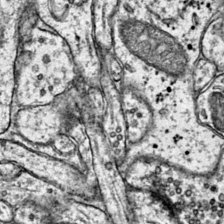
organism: Mouse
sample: Primary visual cortex